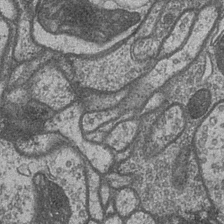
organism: Drosophila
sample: Optic medulla